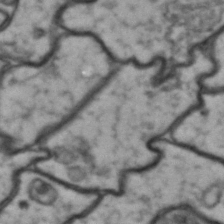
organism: Drosophila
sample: Brain